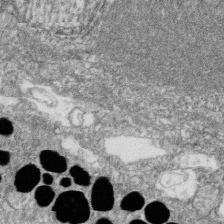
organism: Zebrafish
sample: Cilia; retinal pigment epithelium